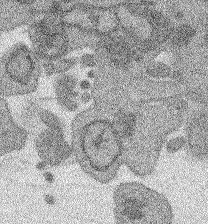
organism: Human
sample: HeLa cells